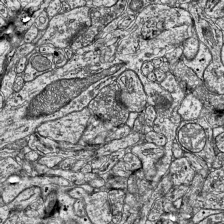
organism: Mouse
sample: Visual Cortex